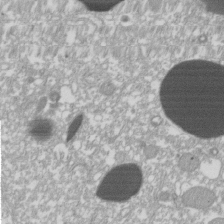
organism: Xenopus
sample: Cilia; centrioles in frog embryo cells